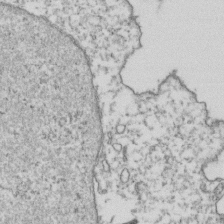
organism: Human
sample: Activated Jurkat CD4+ T cells